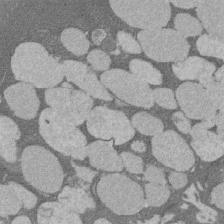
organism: Rat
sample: Salivary granule